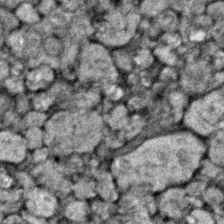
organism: Zebrafish